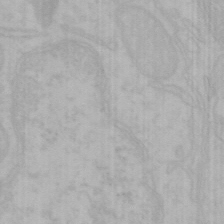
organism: Mouse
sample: Choroid plexus